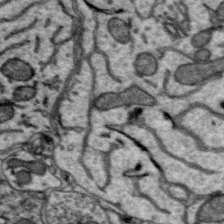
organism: Zebra finch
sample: Brain